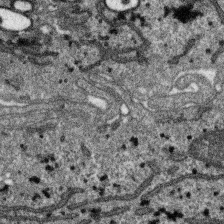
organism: Human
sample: Lung epithelial cells infected with SARS-CoV-2